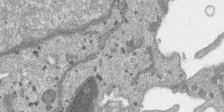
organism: Human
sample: Lung epithelial cells infected with SARS-CoV-2